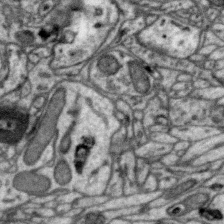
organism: Zebra finch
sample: Brain